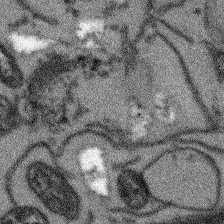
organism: Arabidopsis thaliana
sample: Root tip